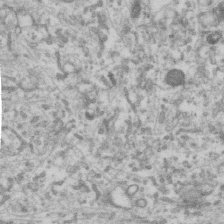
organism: Human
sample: Centriole in RPE cells